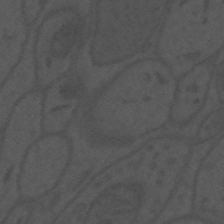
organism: Mouse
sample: Suprachiasmatic nucleus